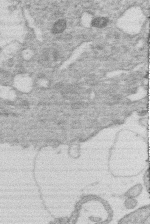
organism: Human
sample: Macrophage cells